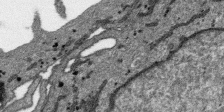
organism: Human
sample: Lung epithelial cells, uninfected (mock) control